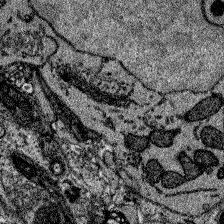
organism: Zebrafish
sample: Larval olfactory bulb